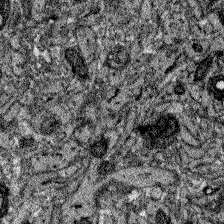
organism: Zebrafish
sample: Larval olfactory bulb